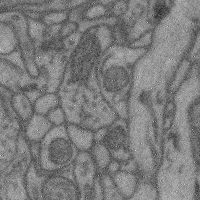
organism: Mouse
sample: Cerebral cortex